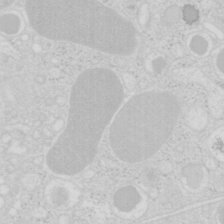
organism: Mouse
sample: Pancreas